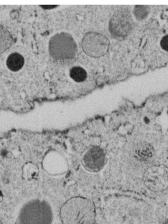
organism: C. elegans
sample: C. elegans embryo early stage